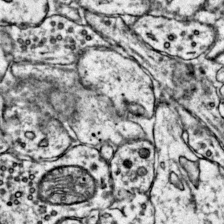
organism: Mouse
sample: Primary visual cortex